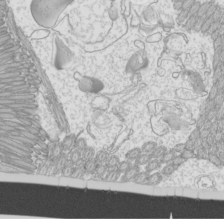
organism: Mouse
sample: Cilia; mouse epididymis